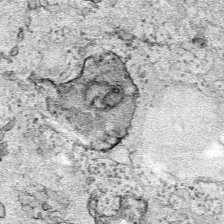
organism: Human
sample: Mitochondria in HCT116 cells